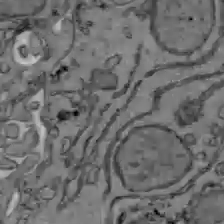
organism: C57BL Mouse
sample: Liver